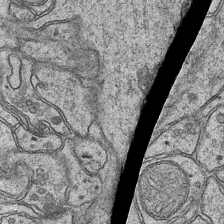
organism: Mouse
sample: CA1 Hippocampus